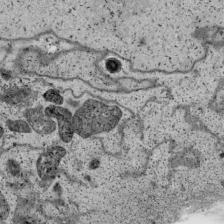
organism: Human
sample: Mitochondria in HCT116 cells